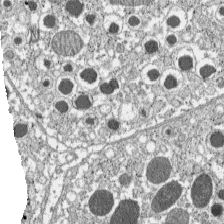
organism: C57BL Mouse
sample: Pancreatic islet